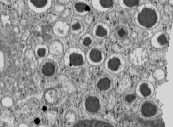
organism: C57BL Mouse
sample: Pancreatic islet